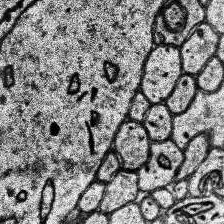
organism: Human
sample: Temporal Lobe